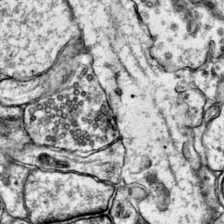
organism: Mouse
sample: Primary visual cortex